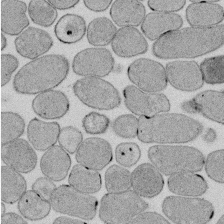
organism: E. coli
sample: Bacterial nucleoid